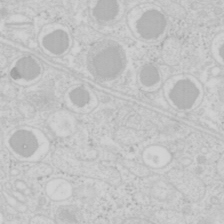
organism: Mouse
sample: Pancreas